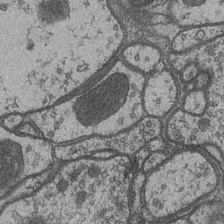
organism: Drosophila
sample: Optic medulla